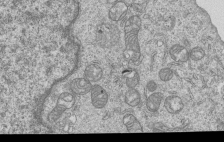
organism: Human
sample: MDA-MB-231 cells